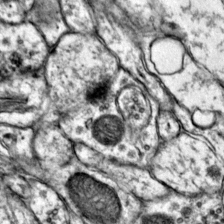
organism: Mouse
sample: Primary visual cortex